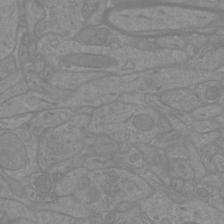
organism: Mouse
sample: Cortical neurons